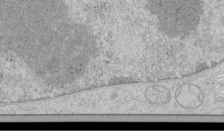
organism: Human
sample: Mitochondria in HCT116 cells